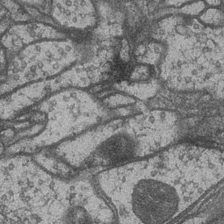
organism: Drosophila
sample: Optic medulla